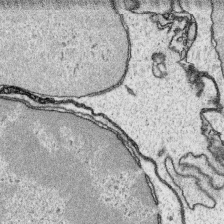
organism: Platynereis dumerilii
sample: Parapodia